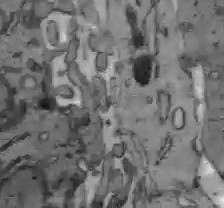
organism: C57BL Mouse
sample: Liver